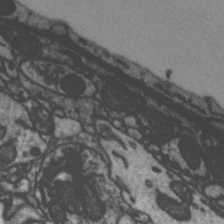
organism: Zebra finch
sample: Brain